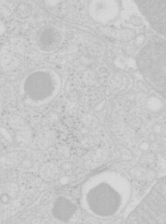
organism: Mouse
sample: Pancreas